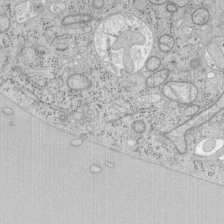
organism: Mouse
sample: OT-I killer T cells with ID8 ovarian cancer cells